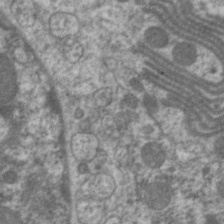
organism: C. elegans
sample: Pharynx